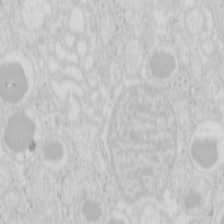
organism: Mouse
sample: Pancreas